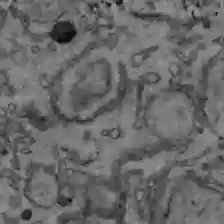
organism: C57BL Mouse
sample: Liver